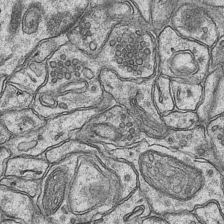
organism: Mouse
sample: CA1 Hippocampus